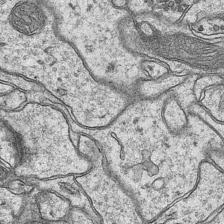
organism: Mouse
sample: CA1 Hippocampus